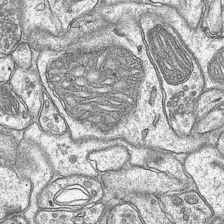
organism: Mouse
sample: CA1 Hippocampus